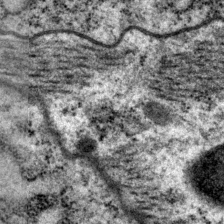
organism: P. pacificus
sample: Pharynx